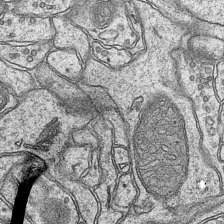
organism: Mouse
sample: CA1 Hippocampus